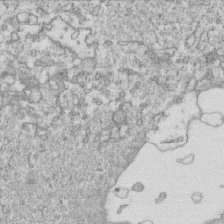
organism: Mouse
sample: Activated OT-1 CD8+ T cells